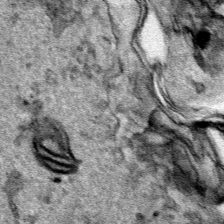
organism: Human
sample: Mitochondria in HCT116 cells